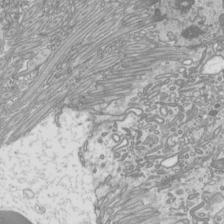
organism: Mouse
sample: Cilia; mouse epididymis